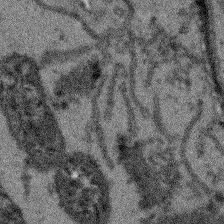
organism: Arabidopsis thaliana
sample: Root tip